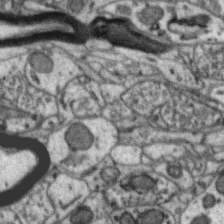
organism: Zebra finch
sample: Brain